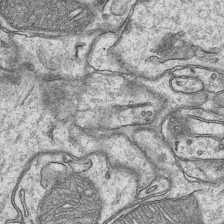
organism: Mouse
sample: CA1 Hippocampus